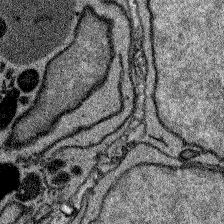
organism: Zebrafish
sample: Larval olfactory bulb